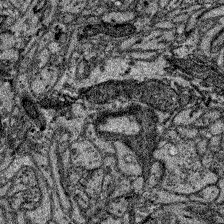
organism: Zebrafish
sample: Larval olfactory bulb